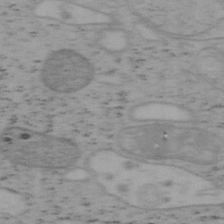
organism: Mouse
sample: OT-I killer T cells with ID8 ovarian cancer cells